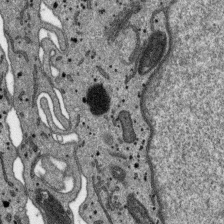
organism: Human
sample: Lung epithelial cells, uninfected (mock) control